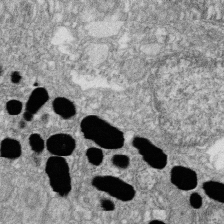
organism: Zebrafish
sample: Cilia; retinal pigment epithelium